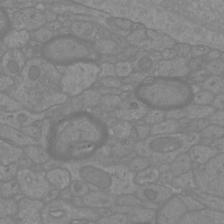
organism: Mouse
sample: Cortical neurons